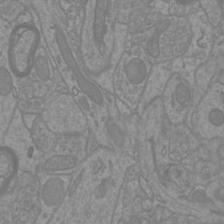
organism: Mouse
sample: Cortical neurons